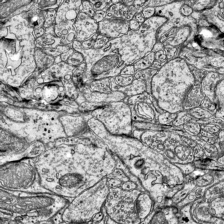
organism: Mouse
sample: Visual Cortex